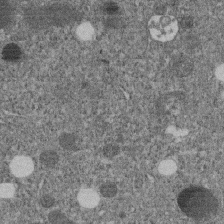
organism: C. elegans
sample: C. elegans embryo early stage